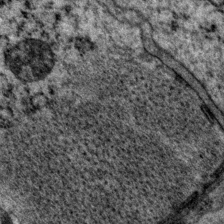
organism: P. pacificus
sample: Pharynx